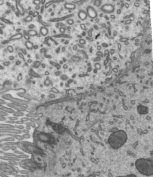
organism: Mouse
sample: Mouse epididymis efferent ductule cilia